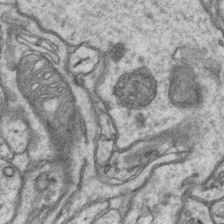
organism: Mouse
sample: CA1 Hippocampus